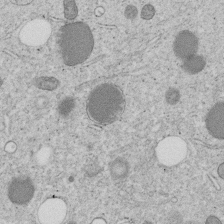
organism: C. elegans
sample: C. elegans embryo early stage